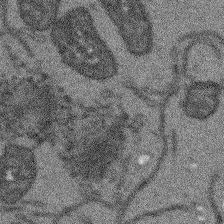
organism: Arabidopsis thaliana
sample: Root tip